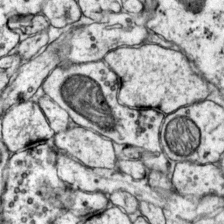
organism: Mouse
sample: Primary visual cortex